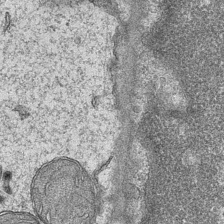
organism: Mouse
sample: CA1 Hippocampus